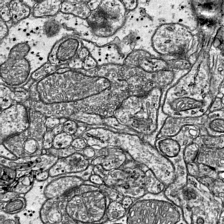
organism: Mouse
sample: Visual Cortex